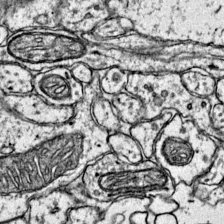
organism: Mouse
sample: Primary visual cortex